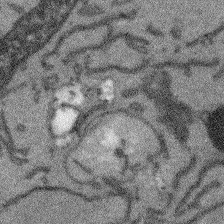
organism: Arabidopsis thaliana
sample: Root tip